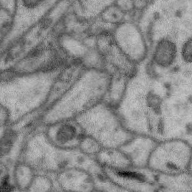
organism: Zebra finch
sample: Brain